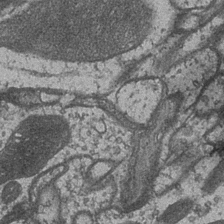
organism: Drosophila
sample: Optic medulla